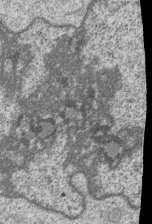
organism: Human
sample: MDA-MB-231 cells